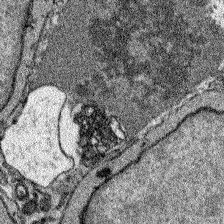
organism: Zebrafish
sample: Larval olfactory bulb